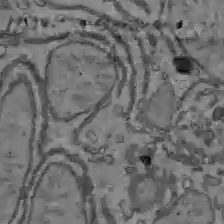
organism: C57BL Mouse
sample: Liver